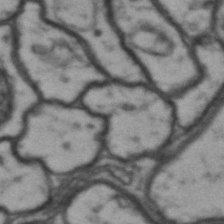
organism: Drosophila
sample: Brain